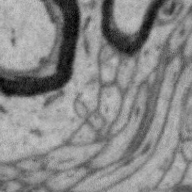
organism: Zebra finch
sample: Brain